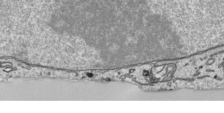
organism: Human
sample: Mitochondria in HCT116 cells